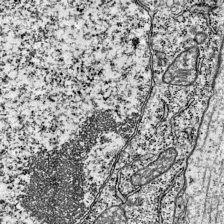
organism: Mouse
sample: Visual Cortex